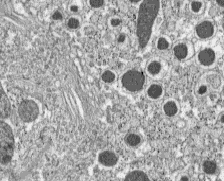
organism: C57BL Mouse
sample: Pancreatic islet